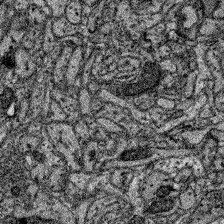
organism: Zebrafish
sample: Larval olfactory bulb